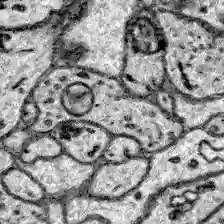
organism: Zebrafish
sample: Brain